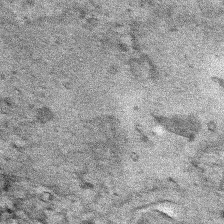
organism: Human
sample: Mitochondria in HCT116 cells